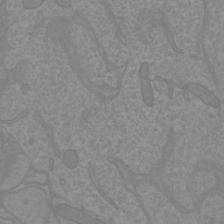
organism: Mouse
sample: Cortical neurons